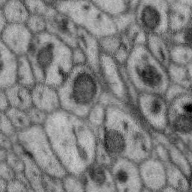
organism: Zebra finch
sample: Brain